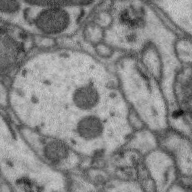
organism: Zebra finch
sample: Brain